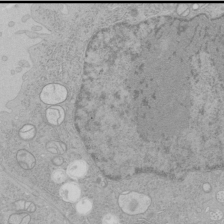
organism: Human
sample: Mitochondria in HCT116 cells